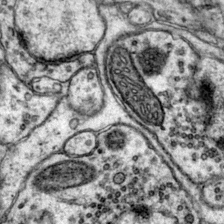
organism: Mouse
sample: Primary visual cortex